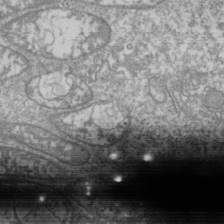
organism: Drosophila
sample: Cell division; meiosis; drosophila spermatocytes